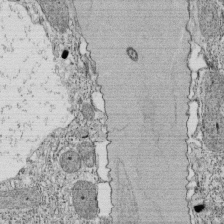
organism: Tetrahymena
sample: Cilia in tetrahymena